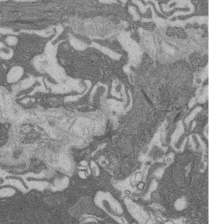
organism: Rat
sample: Salivary granule